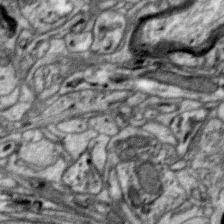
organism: Zebra finch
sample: Brain